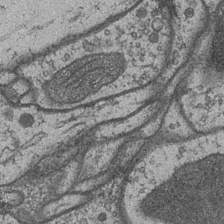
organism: Drosophila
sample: Optic medulla